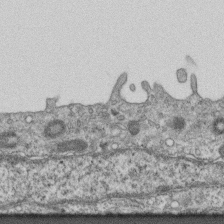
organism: Mouse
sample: Centriole in ependymal cells